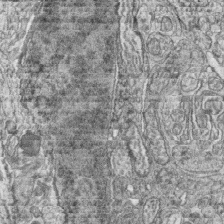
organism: Zebrafish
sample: synaptic ribbons in rod cells and cone cells